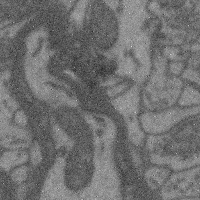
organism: Mouse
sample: Cerebral cortex